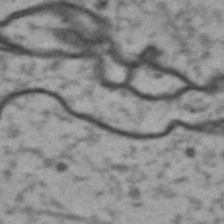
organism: Drosophila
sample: Brain